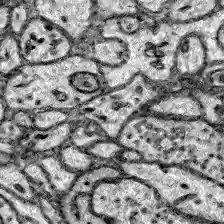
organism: Zebrafish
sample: Brain